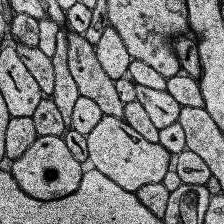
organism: Human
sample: Temporal Lobe